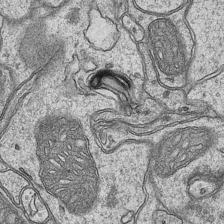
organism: Mouse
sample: CA1 Hippocampus